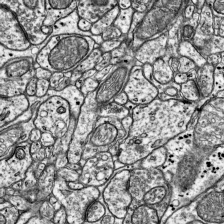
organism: Mouse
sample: Visual Cortex